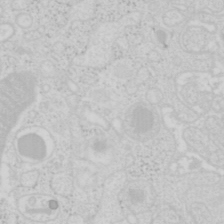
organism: Mouse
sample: Pancreas